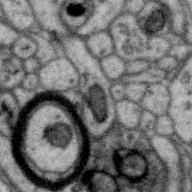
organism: Zebra finch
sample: Brain